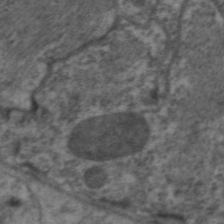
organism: C. elegans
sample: Pharynx